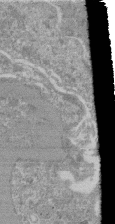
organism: Mouse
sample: Glomerulus